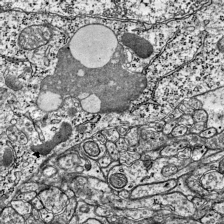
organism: Mouse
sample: Visual Cortex